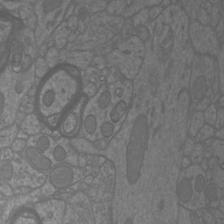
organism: Mouse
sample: Cortical neurons